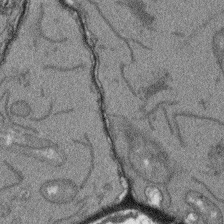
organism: Arabidopsis thaliana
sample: Root tip